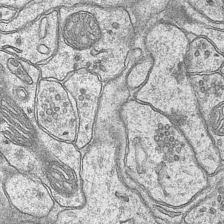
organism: Mouse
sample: CA1 Hippocampus